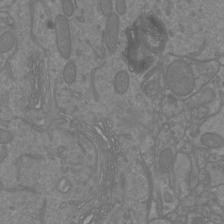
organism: Mouse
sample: Cortical neurons